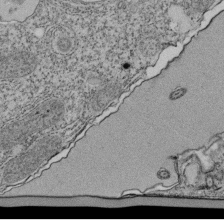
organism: Tetrahymena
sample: Cilia in tetrahymena